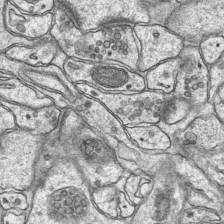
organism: Mouse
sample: CA1 Hippocampus